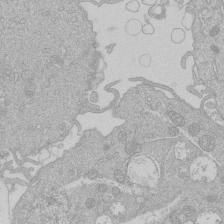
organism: Human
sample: Macrophage cells